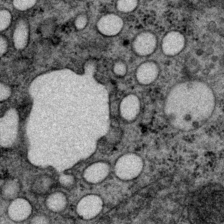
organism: P. pacificus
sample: Pharynx